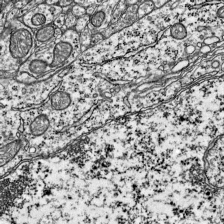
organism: Mouse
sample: Visual Cortex